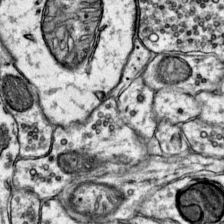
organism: Mouse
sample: Primary visual cortex